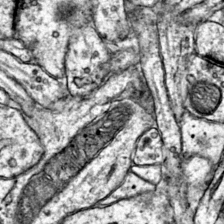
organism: Mouse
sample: Primary visual cortex